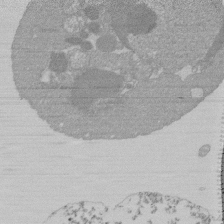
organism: Mouse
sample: Activated Pmel transgenic CD8+ T Cells